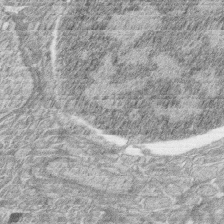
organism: Zebrafish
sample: synaptic ribbons in rod cells and cone cells